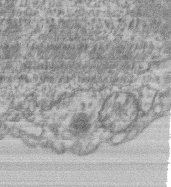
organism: Mouse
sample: T cell stromal cell synapse